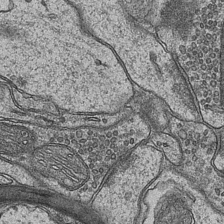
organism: Mouse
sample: CA1 Hippocampus